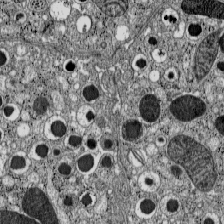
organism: C57BL Mouse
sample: Pancreatic islet